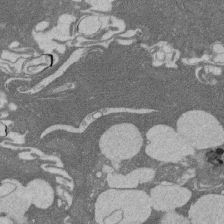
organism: Rat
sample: Salivary granule